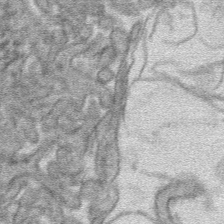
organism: Mouse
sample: Mouse hepatocytes